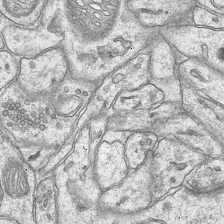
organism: Mouse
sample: CA1 Hippocampus